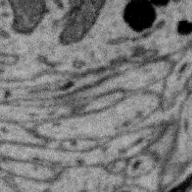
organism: Zebra finch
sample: Brain